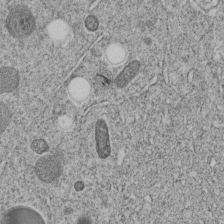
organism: C. elegans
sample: C. elegans embryo early stage